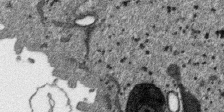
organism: Human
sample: Lung epithelial cells infected with SARS-CoV-2